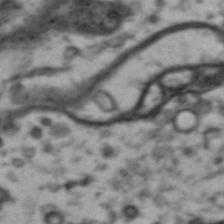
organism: Drosophila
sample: Brain